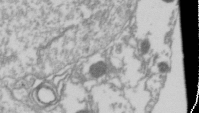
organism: Drosophila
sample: Cell division; meiosis; drosophila spermatocytes